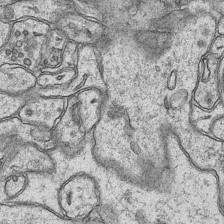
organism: Mouse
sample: CA1 Hippocampus